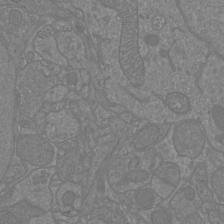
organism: Mouse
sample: Cortical neurons